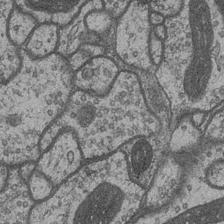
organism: Drosophila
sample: Optic medulla